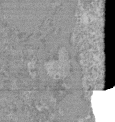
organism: Mouse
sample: Glomerulus